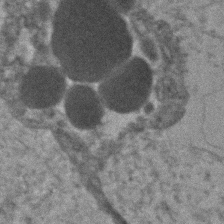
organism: Human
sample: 1205lu cells